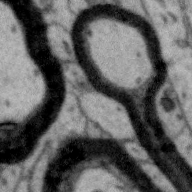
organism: Zebra finch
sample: Brain